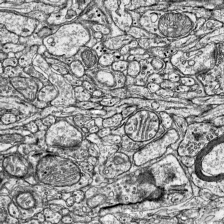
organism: Mouse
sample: Visual Cortex